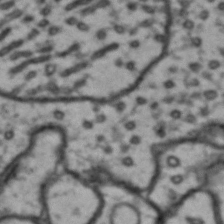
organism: Drosophila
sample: Brain